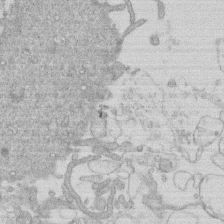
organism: Human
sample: Macrophage cells